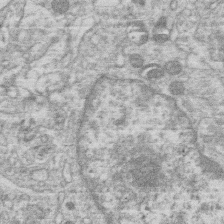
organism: Human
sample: Macrophage cells